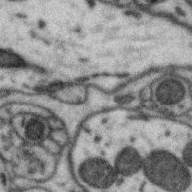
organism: Zebra finch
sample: Brain